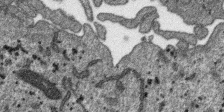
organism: Human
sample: Lung epithelial cells infected with SARS-CoV-2